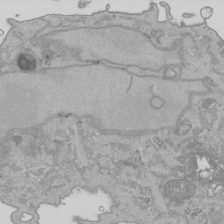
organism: Human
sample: Mitochondria in HCT116 cells